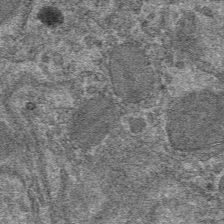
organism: Mouse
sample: Mouse hepatocytes